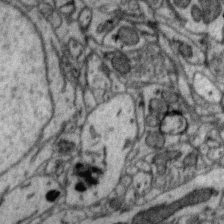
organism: Zebra finch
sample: Brain